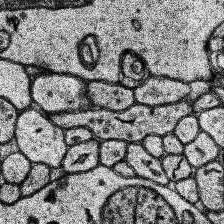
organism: Human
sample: Temporal Lobe